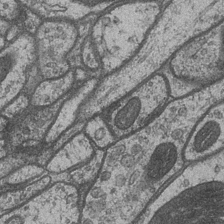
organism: Drosophila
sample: Optic medulla